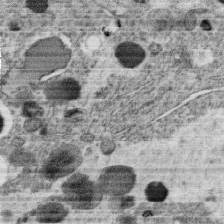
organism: C. elegans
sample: C. elegans oocyte; sperm cells